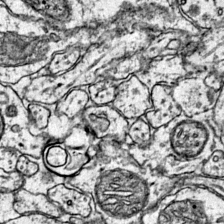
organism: Mouse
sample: Primary visual cortex